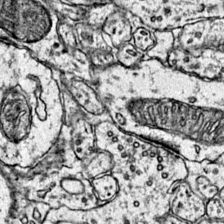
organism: Mouse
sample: Primary visual cortex